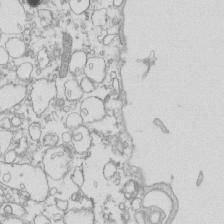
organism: Mouse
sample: Macrophages